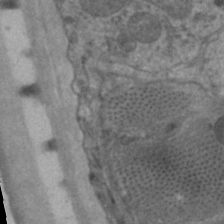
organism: C. elegans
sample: Pharynx